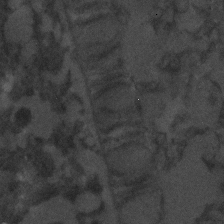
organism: C. elegans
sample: C. elegans embryo